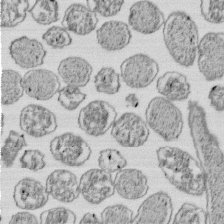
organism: E. coli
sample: Bacterial nucleoid